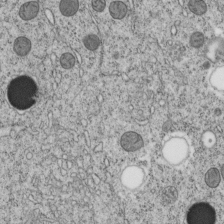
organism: C. elegans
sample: C. elegans embryo early stage